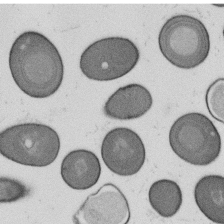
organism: B. subtilis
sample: Bacterial spore